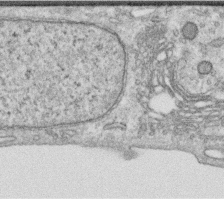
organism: Human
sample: Centriole in RPE cells